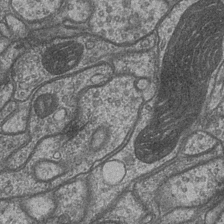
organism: Drosophila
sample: Optic medulla